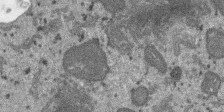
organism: Human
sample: Lung epithelial cells infected with SARS-CoV-2